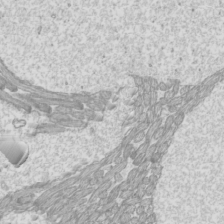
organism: Mouse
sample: Cilia; mouse epididymis